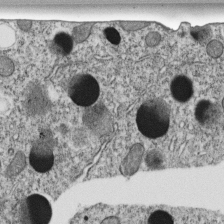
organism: C. elegans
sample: C. elegans embryo early stage